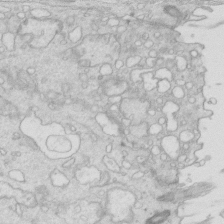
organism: Mouse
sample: Multiciliated cells